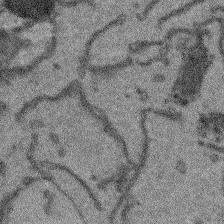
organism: Arabidopsis thaliana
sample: Root tip